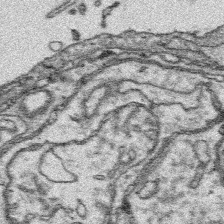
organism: Platynereis dumerilii